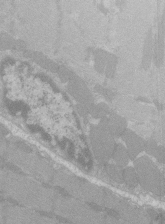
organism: C57BL Mouse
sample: Tibialis anterior muscle cell